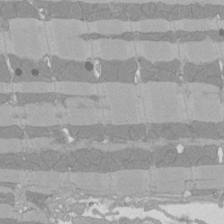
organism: Rat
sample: Left ventricle